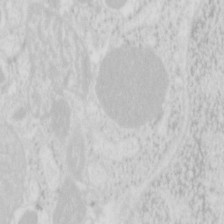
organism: Mouse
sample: Pancreas